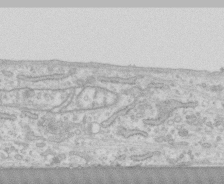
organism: Human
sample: CRL-1474